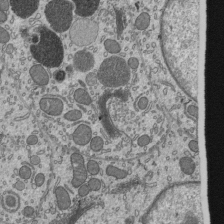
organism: Mouse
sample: Mouse epididymis efferent ductule cilia